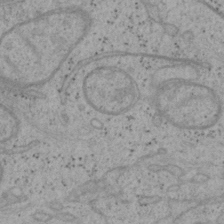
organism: Human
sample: HeLa cells